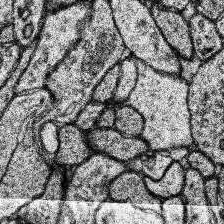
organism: Human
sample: Temporal Lobe